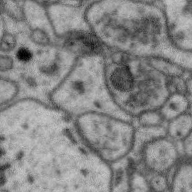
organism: Zebra finch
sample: Brain